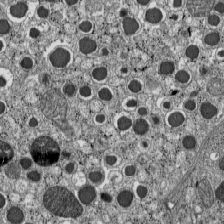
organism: C57BL Mouse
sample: Pancreatic islet